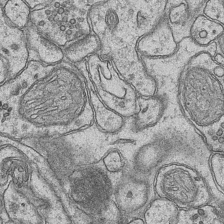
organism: Mouse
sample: CA1 Hippocampus